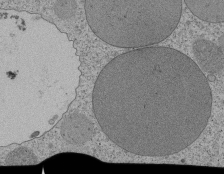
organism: Tetrahymena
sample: Cilia in tetrahymena